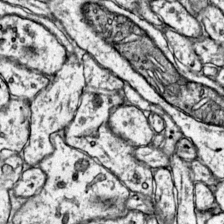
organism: Mouse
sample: Primary visual cortex